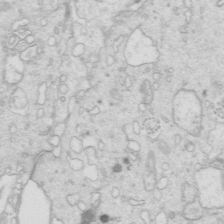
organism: Mouse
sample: Multiciliated cells